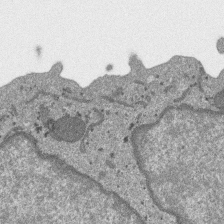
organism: Human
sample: Lung epithelial cells infected with SARS-CoV-2